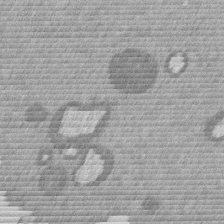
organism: Mouse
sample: Dividing mouse embryo 1 cell stage